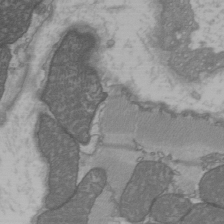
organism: C57BL Mouse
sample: Heart